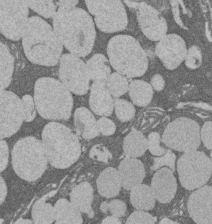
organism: Rat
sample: Salivary granule